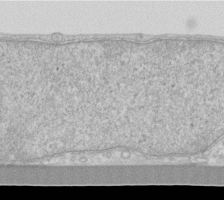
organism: Human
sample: Fibroblast cells